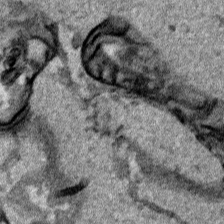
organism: Human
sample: Mitochondria in HCT116 cells